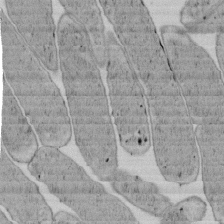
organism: E. coli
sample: Bacterial nucleoid